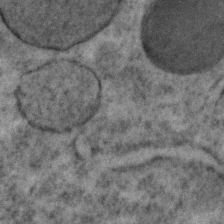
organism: C. elegans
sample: C. elegans embryo